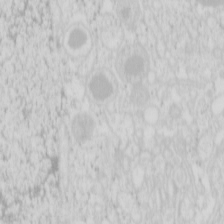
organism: Mouse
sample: Pancreas